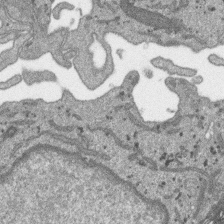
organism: Human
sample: Lung epithelial cells infected with SARS-CoV-2